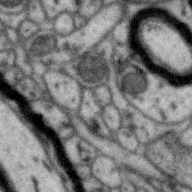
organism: Zebra finch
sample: Brain